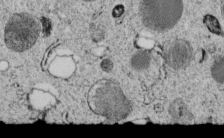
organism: C. elegans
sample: C. elegans embryo early stage